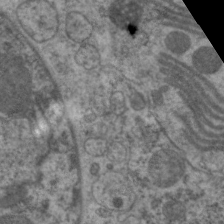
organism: C. elegans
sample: Pharynx